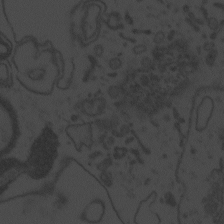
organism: Zebrafish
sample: Macrophage infected with Toxoplasma gondii